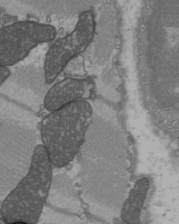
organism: C57BL Mouse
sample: Heart